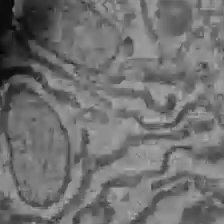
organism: C57BL Mouse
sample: Liver